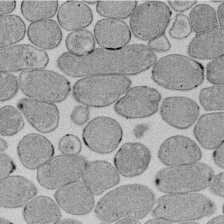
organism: E. coli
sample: Bacterial nucleoid